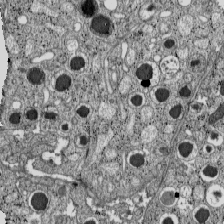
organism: C57BL Mouse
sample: Pancreatic islet